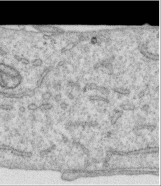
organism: Human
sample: Centriole in RPE cells